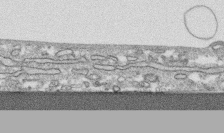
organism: Human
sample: CRL-1474